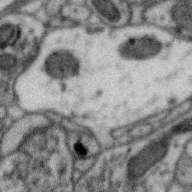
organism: Zebra finch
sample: Brain